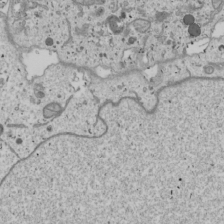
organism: Human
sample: Mitochondria in U2OS cells